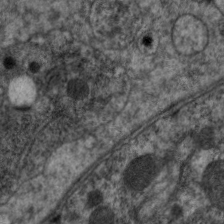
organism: C. elegans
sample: Pharynx